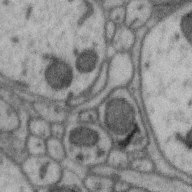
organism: Zebra finch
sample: Brain